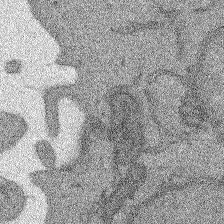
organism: Human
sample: HeLa cells